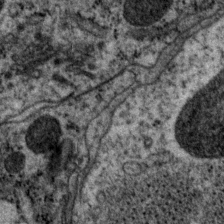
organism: P. pacificus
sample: Pharynx